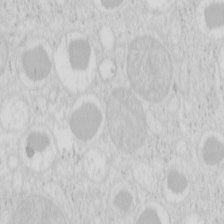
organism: Mouse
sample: Pancreas